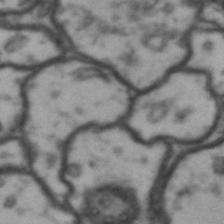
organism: Drosophila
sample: Brain